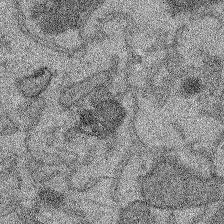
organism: Human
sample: HeLa cells